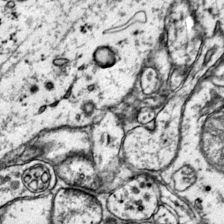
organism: Mouse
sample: Primary visual cortex